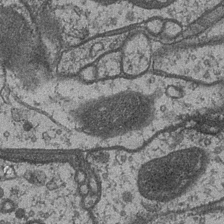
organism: Drosophila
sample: Optic medulla